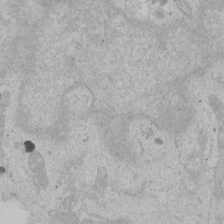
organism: Human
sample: Mitochondria in U2OS cells